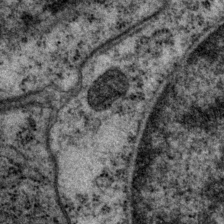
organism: P. pacificus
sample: Pharynx